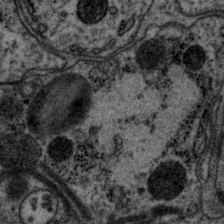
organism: P. pacificus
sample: Pharynx